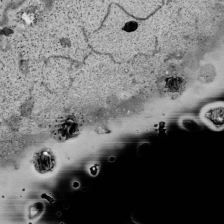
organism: Human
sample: Mitochondria in HCT116 cells